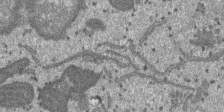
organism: Human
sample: Lung epithelial cells infected with SARS-CoV-2